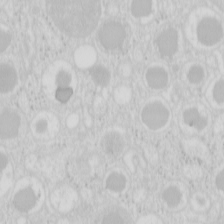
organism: Mouse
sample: Pancreas